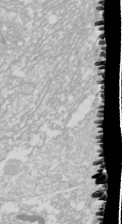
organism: Drosophila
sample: Cell division; meiosis; drosophila spermatocytes